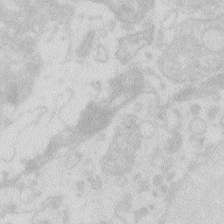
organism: Zebrafish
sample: Macrophage